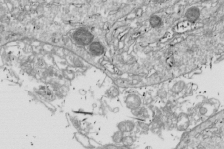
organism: Drosophila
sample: Cell division; meiosis; drosophila spermatocytes